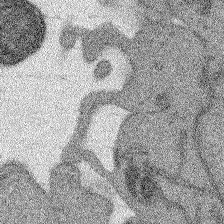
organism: Human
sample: HeLa cells